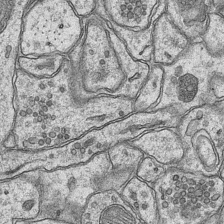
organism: Mouse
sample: CA1 Hippocampus